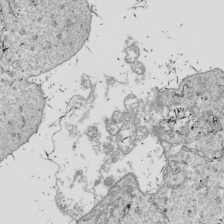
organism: Drosophila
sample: Cell division; meiosis; drosophila spermatocytes